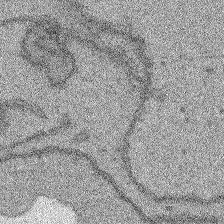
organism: Human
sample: HeLa cells